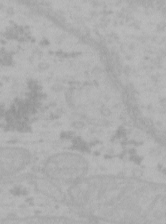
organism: Mouse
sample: Choroid plexus